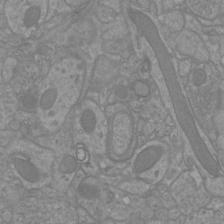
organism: Mouse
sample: Cortical neurons